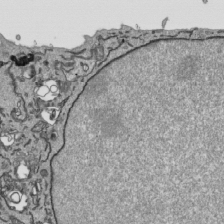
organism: Human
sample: Mitochondria in HCT116 cells